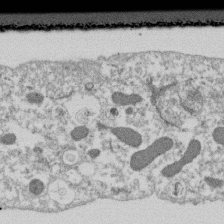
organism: Dictyostelium discoideum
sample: Dictyostelium multivesicular bodies